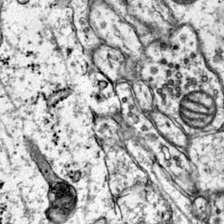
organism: Mouse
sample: Primary visual cortex